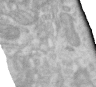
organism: Human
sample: Centriole in RPE cells